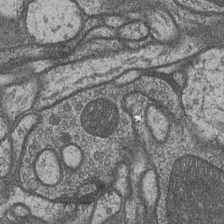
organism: Drosophila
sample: Optic medulla